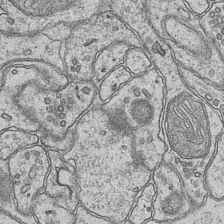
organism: Mouse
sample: CA1 Hippocampus